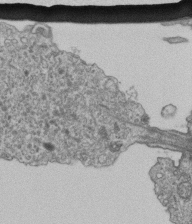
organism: Human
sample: Retinal organoid Rod and Cone cells